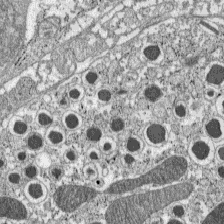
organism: C57BL Mouse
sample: Pancreatic islet